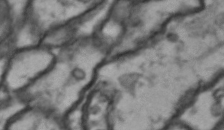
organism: Drosophila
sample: Brain